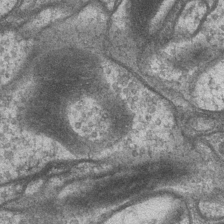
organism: Drosophila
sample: Optic medulla